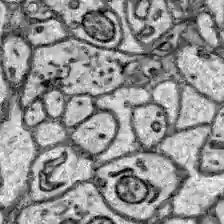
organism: Zebrafish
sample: Brain